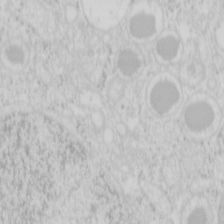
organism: Mouse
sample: Pancreas